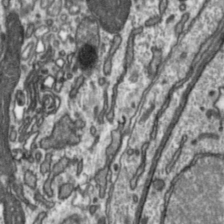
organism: Toxoplasma gondii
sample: Parasites in a vacuole inside a host cell